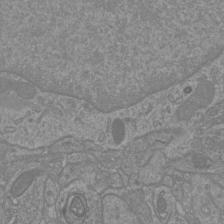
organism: Mouse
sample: Cortical neurons